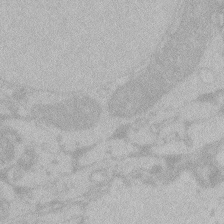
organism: Zebrafish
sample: Macrophage infected with Toxoplasma gondii